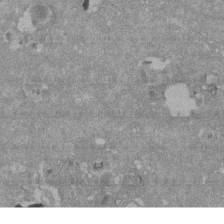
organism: Mouse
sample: ED-1 cell nuclei; centrioles